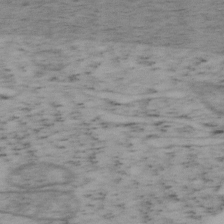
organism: Mouse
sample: OT-I killer T cells with ID8 ovarian cancer cells